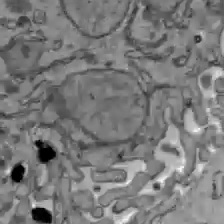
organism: C57BL Mouse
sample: Liver